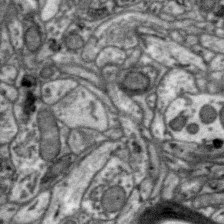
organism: Zebra finch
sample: Brain